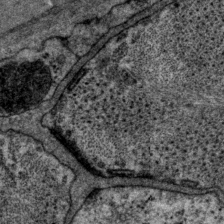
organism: P. pacificus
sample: Pharynx